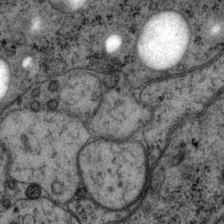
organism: P. pacificus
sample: Pharynx